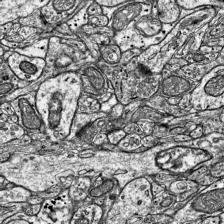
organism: Mouse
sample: Visual Cortex